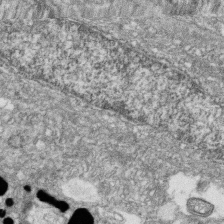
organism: Zebrafish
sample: Cilia; retinal pigment epithelium